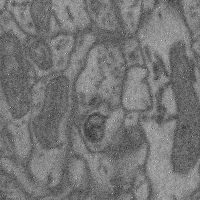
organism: Mouse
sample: Cerebral cortex